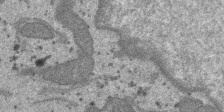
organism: Human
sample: Lung epithelial cells infected with SARS-CoV-2